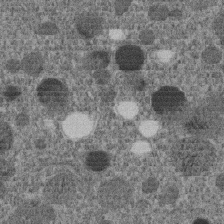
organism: C. elegans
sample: C. elegans embryo early stage